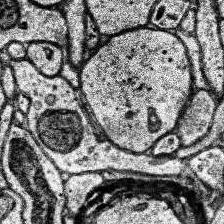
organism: Human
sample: Temporal Lobe